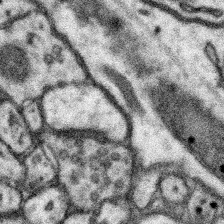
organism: Mouse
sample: Somatosensory cortex neuropil